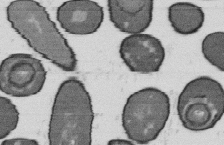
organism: B. subtilis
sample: Bacterial spore